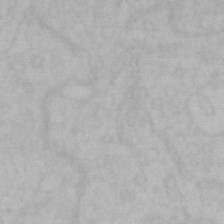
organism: Mouse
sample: Choroid plexus